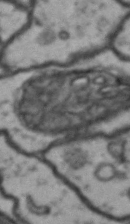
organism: Drosophila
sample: Brain